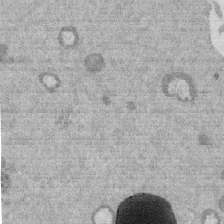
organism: Mouse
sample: Dividing mouse embryo 1 cell stage